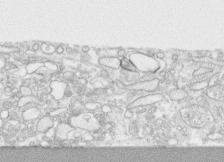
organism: Human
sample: CRL-1474